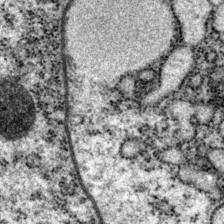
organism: P. pacificus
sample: Pharynx